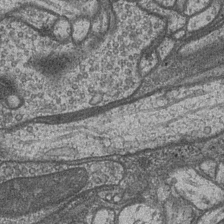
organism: Drosophila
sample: Optic medulla